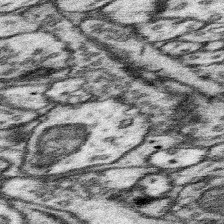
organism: Mouse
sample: Somatosensory cortex neuropil